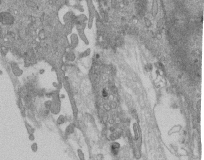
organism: Mouse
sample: ED-1 cell nuclei; centrioles